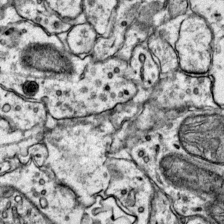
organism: Mouse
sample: Primary visual cortex